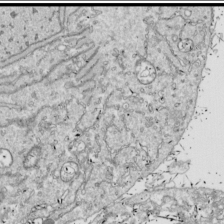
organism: Drosophila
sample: Cell division; meiosis; drosophila spermatocytes